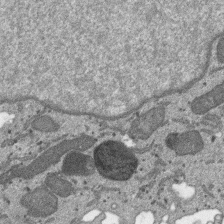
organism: Human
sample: Lung epithelial cells infected with SARS-CoV-2